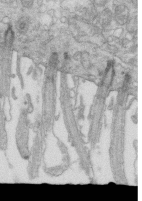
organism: Mouse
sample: Multiciliated cells